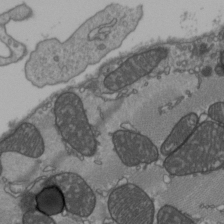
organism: C57BL Mouse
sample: Heart